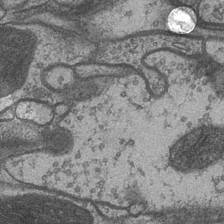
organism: Drosophila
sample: Optic medulla